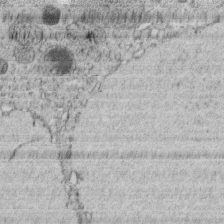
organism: C. elegans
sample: C. elegans embryo early stage